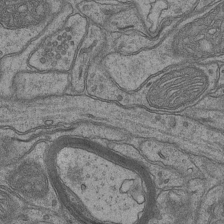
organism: Mouse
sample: CA1 Hippocampus